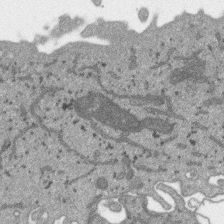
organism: Human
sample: Lung epithelial cells infected with SARS-CoV-2